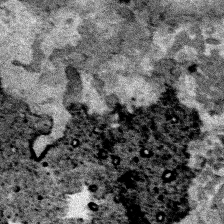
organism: Human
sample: Mitochondria in HCT116 cells